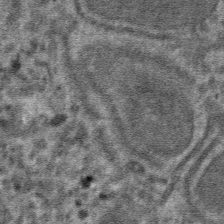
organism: Mouse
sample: Mouse hepatocytes